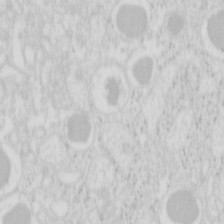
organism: Mouse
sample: Pancreas